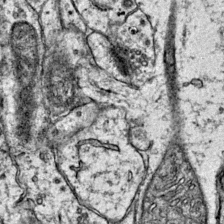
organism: Mouse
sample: Primary visual cortex